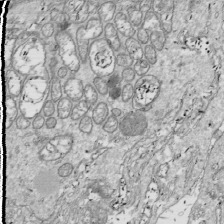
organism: Drosophila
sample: Cell division; meiosis; drosophila spermatocytes